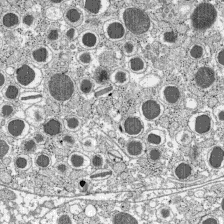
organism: C57BL Mouse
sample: Pancreatic islet